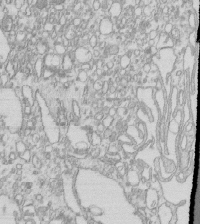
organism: Mouse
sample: Macrophages